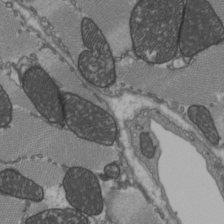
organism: C57BL Mouse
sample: Heart